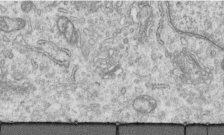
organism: Human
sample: Centriole in RPE cells